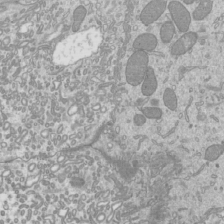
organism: Mouse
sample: Cilia; mouse epididymis